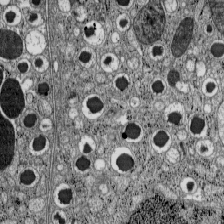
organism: C57BL Mouse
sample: Pancreatic islet